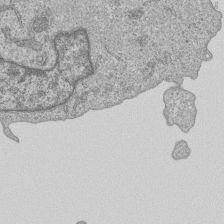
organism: Human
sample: MDA-MB-231 cells